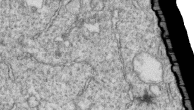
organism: Human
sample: HeLa cell HIV synapse